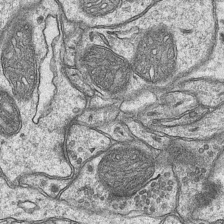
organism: Mouse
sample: CA1 Hippocampus